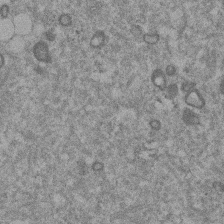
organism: Mouse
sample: Dividing mouse embryo 1 cell stage